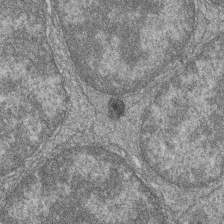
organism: Zebrafish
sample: Cilia; retinal pigment epithelium